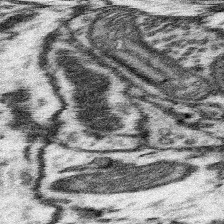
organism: Mouse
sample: Somatosensory cortex neuropil